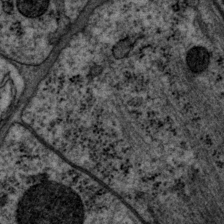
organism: P. pacificus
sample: Pharynx